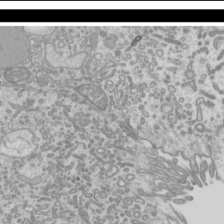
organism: Mouse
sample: Cilia; mouse epididymis